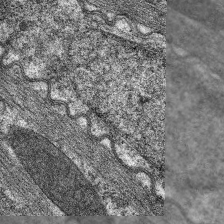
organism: C. elegans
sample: Pharynx